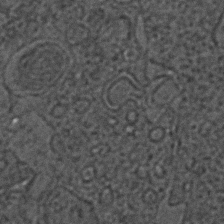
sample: Trachea